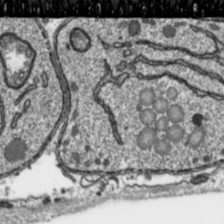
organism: Toxoplasma gondii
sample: Parasites in a vacuole inside a host cell